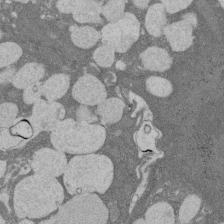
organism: Rat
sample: Salivary granule